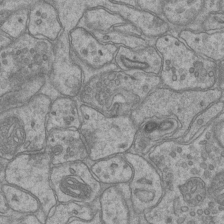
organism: Mouse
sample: CA1 Hippocampus